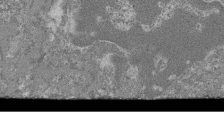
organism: Mouse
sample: Glomerulus